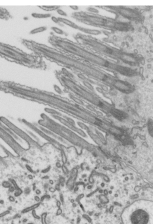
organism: Mouse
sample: Mouse epididymis efferent ductule cilia